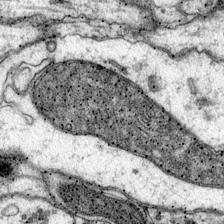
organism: Mouse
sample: Primary visual cortex